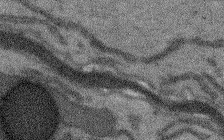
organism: Arabidopsis thaliana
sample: Root tip